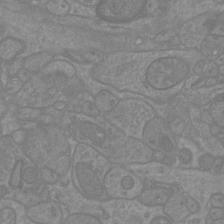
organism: Mouse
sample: Cortical neurons